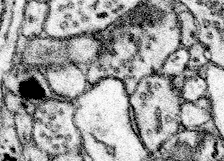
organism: Mouse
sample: Somatosensory cortex neuropil